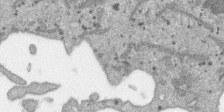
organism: Human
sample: Lung epithelial cells infected with SARS-CoV-2